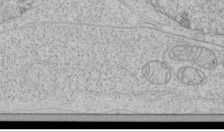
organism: Human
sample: Mitochondria in HCT116 cells